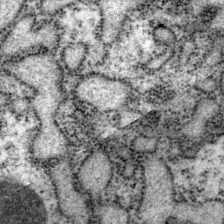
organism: P. pacificus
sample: Pharynx